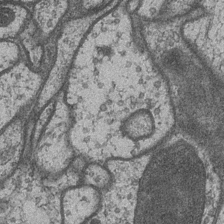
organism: Drosophila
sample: Optic medulla